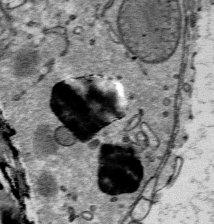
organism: Mouse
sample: Mouse Salivary gland